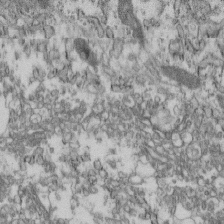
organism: Mouse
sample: Cilia; retinal pigment epithelium